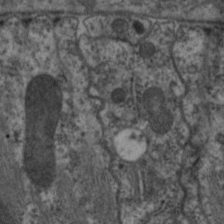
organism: C. elegans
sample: Pharynx